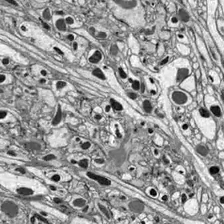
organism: Drosophila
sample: Optic lobe